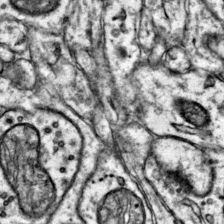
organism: Mouse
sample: Primary visual cortex